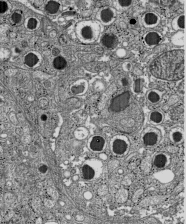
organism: C57BL Mouse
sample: Pancreatic islet